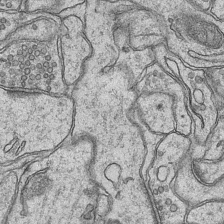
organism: Mouse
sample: CA1 Hippocampus